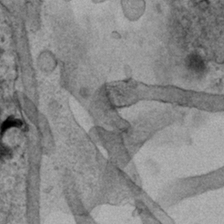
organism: Human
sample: Mitochondria in HCT116 cells